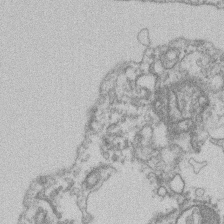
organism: Mouse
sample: T cell stromal cell synapse